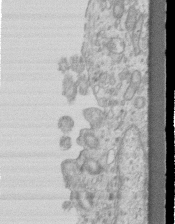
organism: Mouse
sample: Centriole in ependymal cells